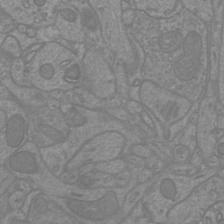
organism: Mouse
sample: Cortical neurons